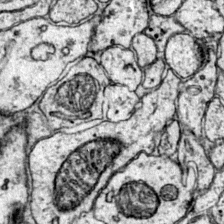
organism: Mouse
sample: Primary visual cortex